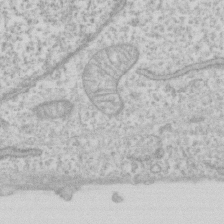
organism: Human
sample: Fibroblast cells